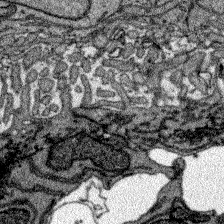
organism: Zebrafish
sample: Larval olfactory bulb